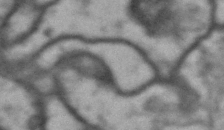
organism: Drosophila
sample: Brain